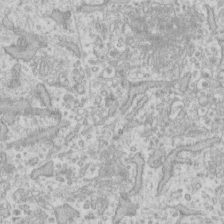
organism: Human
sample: Fibroblast cells